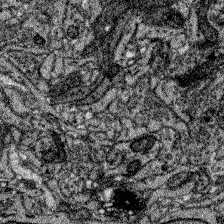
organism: Zebrafish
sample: Larval olfactory bulb